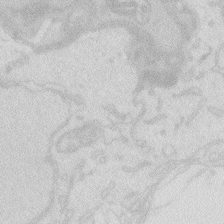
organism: Zebrafish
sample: Macrophage